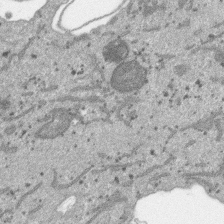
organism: Human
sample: Lung epithelial cells infected with SARS-CoV-2